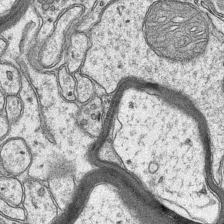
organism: Mouse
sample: CA1 Hippocampus